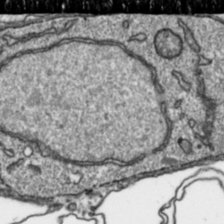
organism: Toxoplasma gondii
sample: Parasites in a vacuole inside a host cell